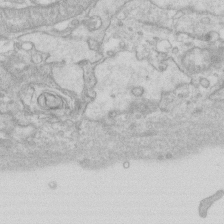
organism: Human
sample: Fibroblast cells